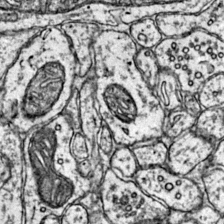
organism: Mouse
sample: Primary visual cortex